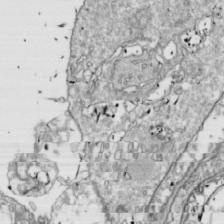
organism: Drosophila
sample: Cell division; meiosis; drosophila spermatocytes